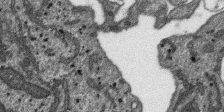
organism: Human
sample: Lung epithelial cells infected with SARS-CoV-2